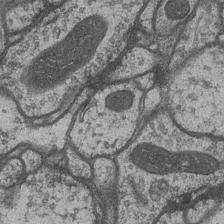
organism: Drosophila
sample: Optic medulla